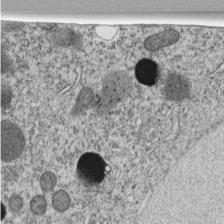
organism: C. elegans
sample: C. elegans embryo early stage